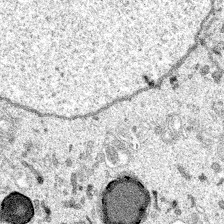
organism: Spongilla lacustris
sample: Multiple